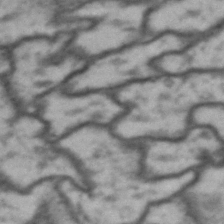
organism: Drosophila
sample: Brain